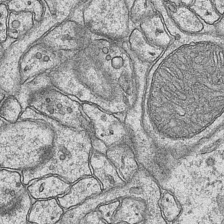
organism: Mouse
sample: CA1 Hippocampus